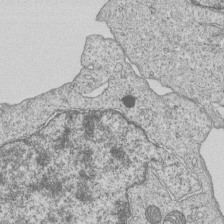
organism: Human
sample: MDA-MB-231 cells